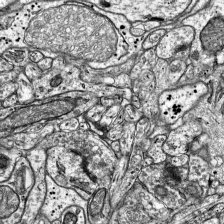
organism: Mouse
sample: Visual Cortex